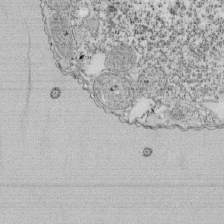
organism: Tetrahymena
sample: Cilia in tetrahymena